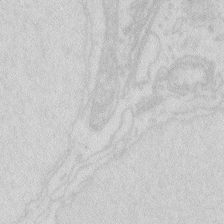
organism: Zebrafish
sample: Macrophage